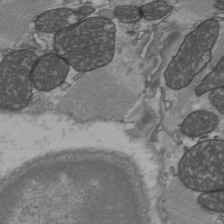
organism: C57BL Mouse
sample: Heart